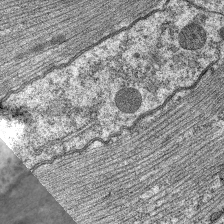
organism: C. elegans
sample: Pharynx